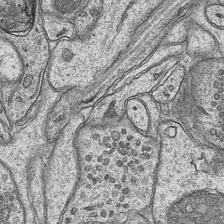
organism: Mouse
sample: CA1 Hippocampus